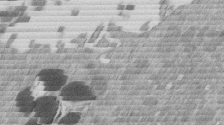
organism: Mouse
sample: Dividing mouse embryo 1 cell stage